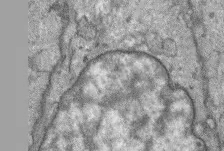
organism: Mouse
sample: Corneal nerves